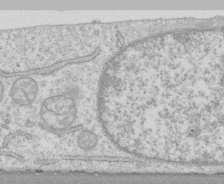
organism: Human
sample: CRL-1474